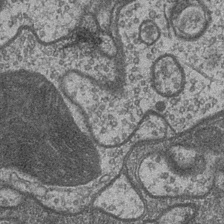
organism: Drosophila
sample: Optic medulla